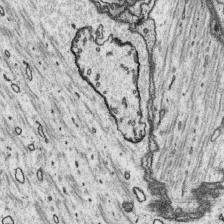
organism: Platynereis dumerilii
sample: Parapodia